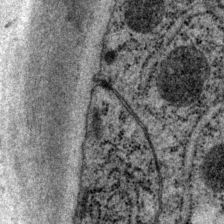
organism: P. pacificus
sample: Pharynx